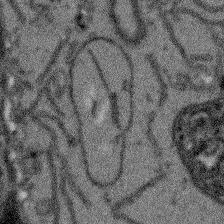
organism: Arabidopsis thaliana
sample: Root tip